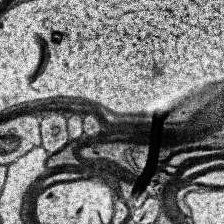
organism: Human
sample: Temporal Lobe